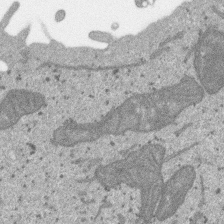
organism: Human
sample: Lung epithelial cells infected with SARS-CoV-2